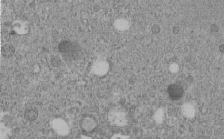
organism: C. elegans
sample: C. elegans embryo early stage